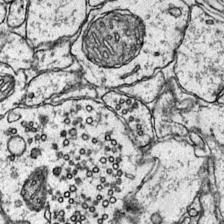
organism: Mouse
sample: Primary visual cortex